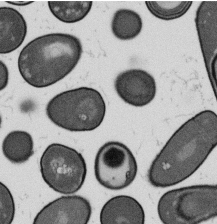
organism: B. subtilis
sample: Bacterial spore